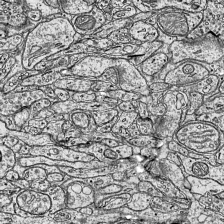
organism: Mouse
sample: Visual Cortex